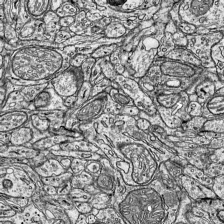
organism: Mouse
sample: Visual Cortex